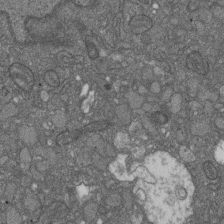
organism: Drosophila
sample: Nephrocyte